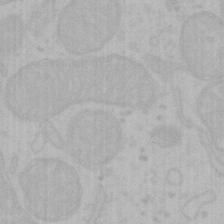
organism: Mouse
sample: Choroid plexus